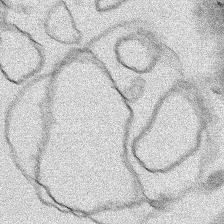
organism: Human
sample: Mitochondria in HCT116 cells